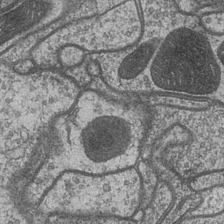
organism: Drosophila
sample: Optic medulla